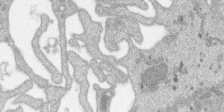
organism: Human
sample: Lung epithelial cells infected with SARS-CoV-2